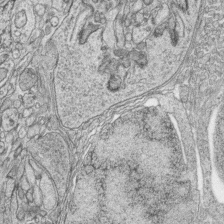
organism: Zebrafish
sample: synaptic ribbons in rod cells and cone cells